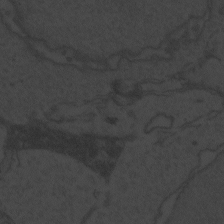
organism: Zebrafish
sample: Macrophage infected with Toxoplasma gondii